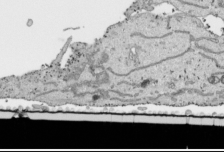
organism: Human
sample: Mitochondria in HCT116 cells